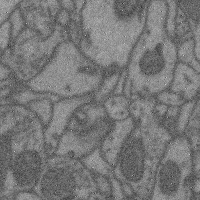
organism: Mouse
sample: Cerebral cortex